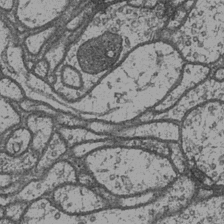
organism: Drosophila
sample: Optic medulla